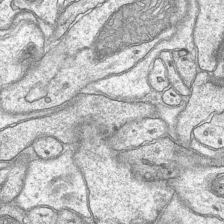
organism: Mouse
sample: CA1 Hippocampus